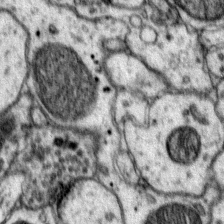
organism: Mouse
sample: Primary visual cortex